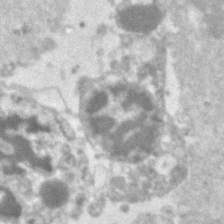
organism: Human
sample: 1205lu cells